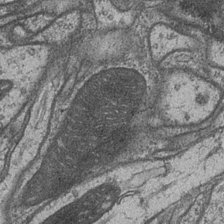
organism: Drosophila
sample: Optic medulla